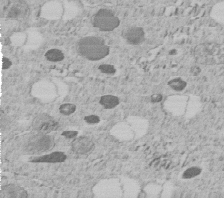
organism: C. elegans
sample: C. elegans embryo early stage